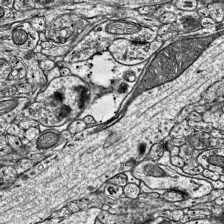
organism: Mouse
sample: Visual Cortex